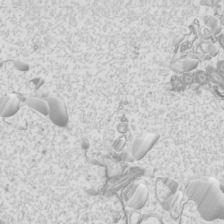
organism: Mouse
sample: Cilia; mouse epididymis